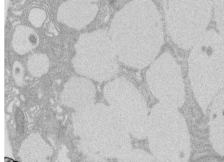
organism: Rat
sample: Salivary granule